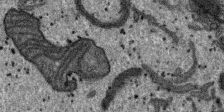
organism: Human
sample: Lung epithelial cells, uninfected (mock) control